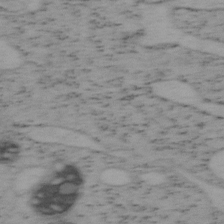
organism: Mouse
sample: OT-I killer T cells with ID8 ovarian cancer cells